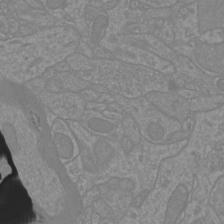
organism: Mouse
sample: Cortical neurons